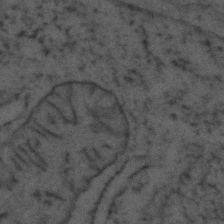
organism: Zebrafish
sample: Zebrafish embryo